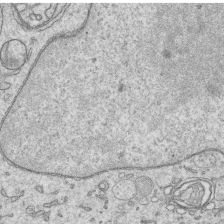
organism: Human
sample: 1205lu cells